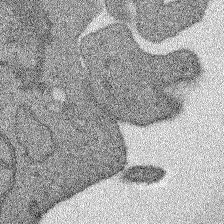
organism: Human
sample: HeLa cells